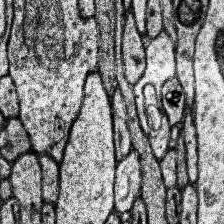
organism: Human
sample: Temporal Lobe